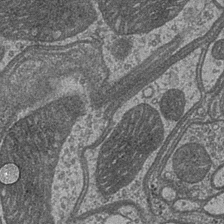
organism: Drosophila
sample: Optic medulla